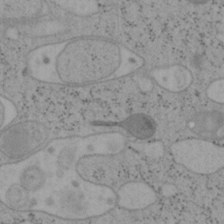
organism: Mouse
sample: OT-I killer T cells with ID8 ovarian cancer cells